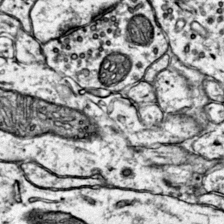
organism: Mouse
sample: Primary visual cortex